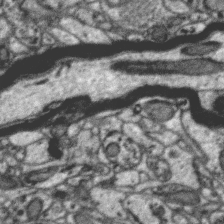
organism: Zebra finch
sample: Brain